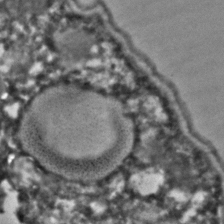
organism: C. elegans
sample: C. elegans embryo